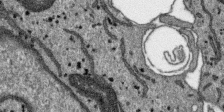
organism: Human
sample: Lung epithelial cells, uninfected (mock) control